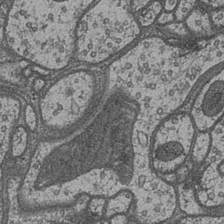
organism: Drosophila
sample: Optic medulla